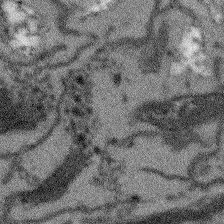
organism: Arabidopsis thaliana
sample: Root tip